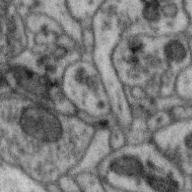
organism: Zebra finch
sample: Brain